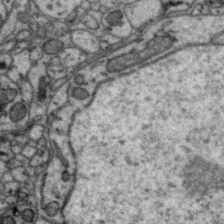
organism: Zebra finch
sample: Brain